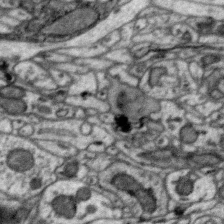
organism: Zebra finch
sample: Brain